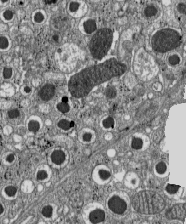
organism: C57BL Mouse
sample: Pancreatic islet